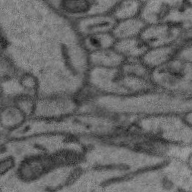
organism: Zebra finch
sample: Brain